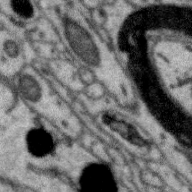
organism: Zebra finch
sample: Brain